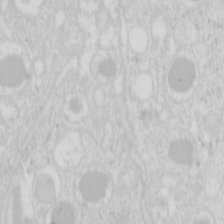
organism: Mouse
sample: Pancreas